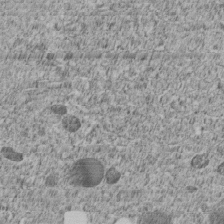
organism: C. elegans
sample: C. elegans embryo early stage